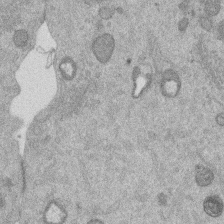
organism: Mouse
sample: Dividing mouse embryo 1 cell stage